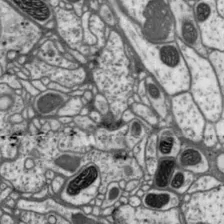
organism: Drosophila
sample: Protocerebral bridge